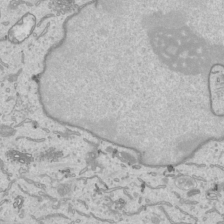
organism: Human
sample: Mitochondria in HCT116 cells